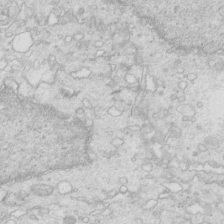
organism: Mouse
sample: Multiciliated cells